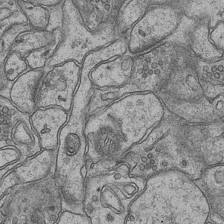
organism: Mouse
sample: CA1 Hippocampus